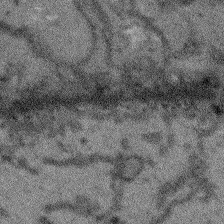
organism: Arabidopsis thaliana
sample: Root tip